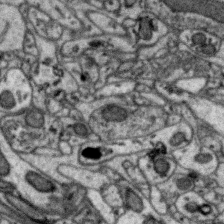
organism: Zebra finch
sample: Brain